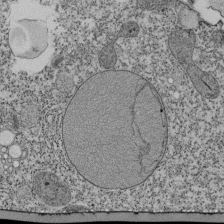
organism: Tetrahymena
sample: Cilia in tetrahymena